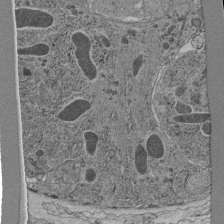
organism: C. elegans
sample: C. elegans pharynx